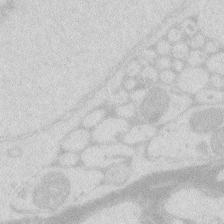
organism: Zebrafish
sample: Macrophage